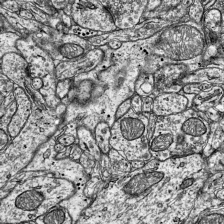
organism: Mouse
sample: Visual Cortex